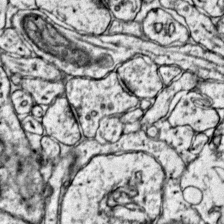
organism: Mouse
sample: Primary visual cortex